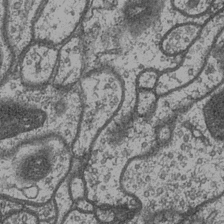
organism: Drosophila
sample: Optic medulla